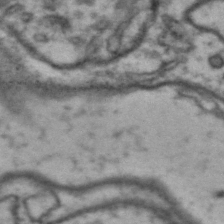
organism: Drosophila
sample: Brain